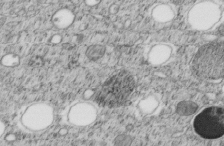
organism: C. elegans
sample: C. elegans embryo early stage